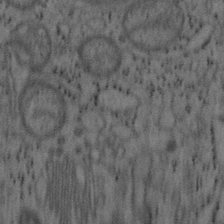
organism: Human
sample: HeLa cells